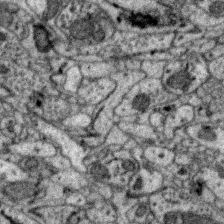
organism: Zebra finch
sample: Brain